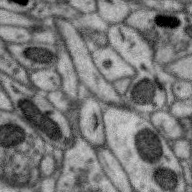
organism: Zebra finch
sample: Brain